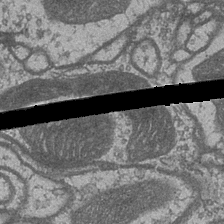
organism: Drosophila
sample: Optic medulla